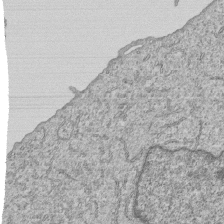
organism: Human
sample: MDA-MB-231 cells